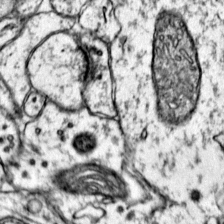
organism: Mouse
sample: Primary visual cortex